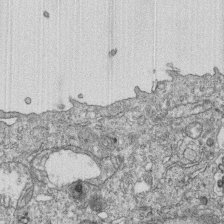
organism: Human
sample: HeLa cell HIV synapse